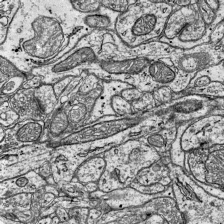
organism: Mouse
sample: Visual Cortex